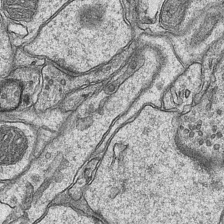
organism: Mouse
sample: CA1 Hippocampus